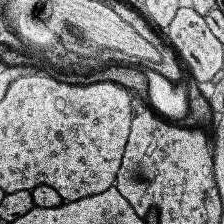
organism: Human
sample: Temporal Lobe